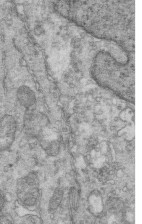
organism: Mouse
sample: Multiciliated cells